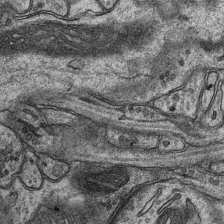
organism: Mouse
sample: CA1 Hippocampus